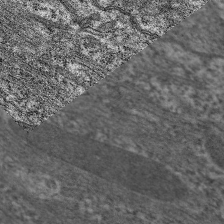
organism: C. elegans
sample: Pharynx